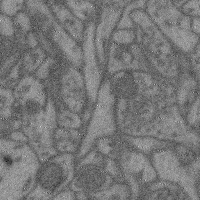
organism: Mouse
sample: Cerebral cortex